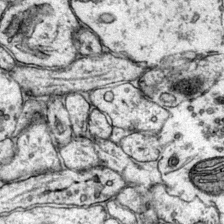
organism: Mouse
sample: Primary visual cortex